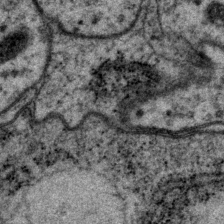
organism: P. pacificus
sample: Pharynx